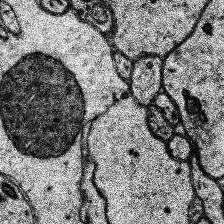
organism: Human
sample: Temporal Lobe